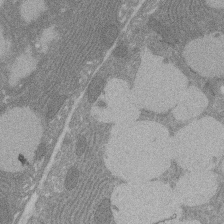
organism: Rat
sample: Salivary granule